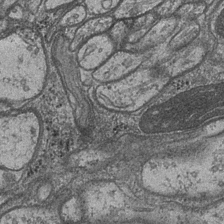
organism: Drosophila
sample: Optic medulla